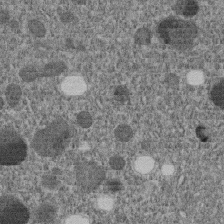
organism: C. elegans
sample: C. elegans embryo early stage